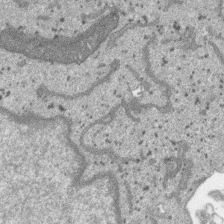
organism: Human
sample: Lung epithelial cells infected with SARS-CoV-2